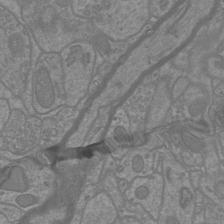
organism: Mouse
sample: Cortical neurons